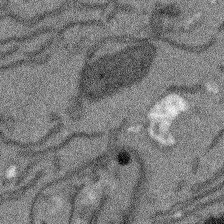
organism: Arabidopsis thaliana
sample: Root tip